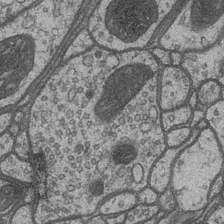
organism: Drosophila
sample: Optic medulla